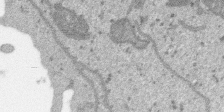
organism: Human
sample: Lung epithelial cells infected with SARS-CoV-2